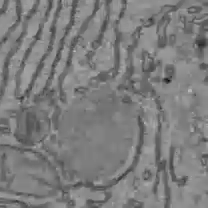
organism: C57BL Mouse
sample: Liver